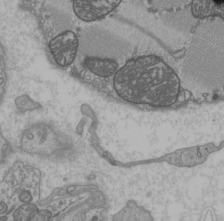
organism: C57BL Mouse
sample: Heart